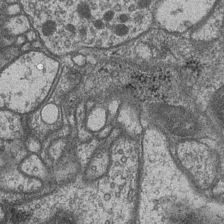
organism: Drosophila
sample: Optic medulla